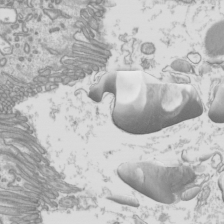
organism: Mouse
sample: Cilia; mouse epididymis